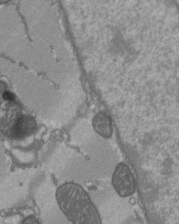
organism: C57BL Mouse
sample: Heart